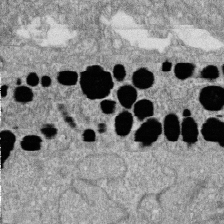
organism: Zebrafish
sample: Cilia; retinal pigment epithelium